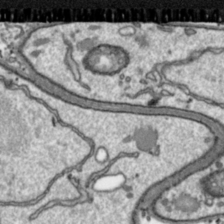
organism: Toxoplasma gondii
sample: Parasites in a vacuole inside a host cell